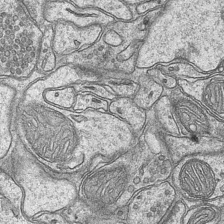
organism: Mouse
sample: CA1 Hippocampus